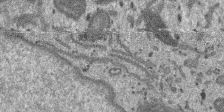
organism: Human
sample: Lung epithelial cells infected with SARS-CoV-2